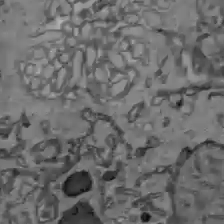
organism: C57BL Mouse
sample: Liver